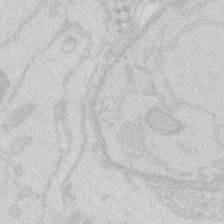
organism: Zebrafish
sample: Macrophage